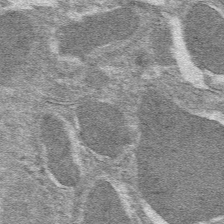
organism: Mouse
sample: Mouse hepatocytes